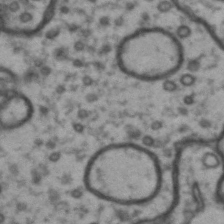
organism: Drosophila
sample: Brain